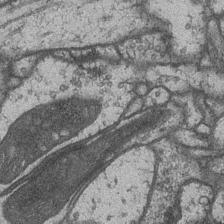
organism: Drosophila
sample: Optic medulla